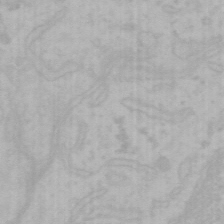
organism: Mouse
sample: Choroid plexus